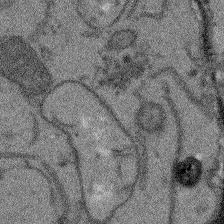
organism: Arabidopsis thaliana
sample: Root tip